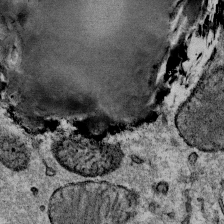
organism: Mouse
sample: Mouse Salivary gland